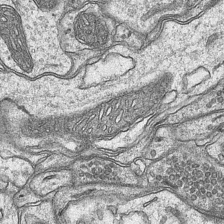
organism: Mouse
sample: CA1 Hippocampus